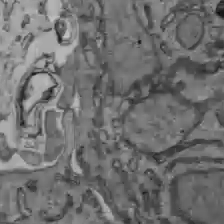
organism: C57BL Mouse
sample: Liver